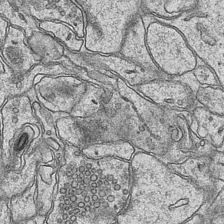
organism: Mouse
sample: CA1 Hippocampus